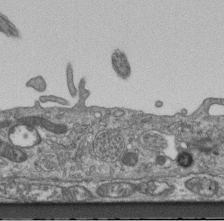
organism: Mouse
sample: Centriole in ependymal cells